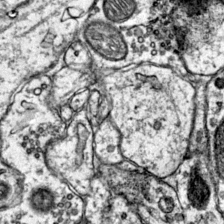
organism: Mouse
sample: Primary visual cortex